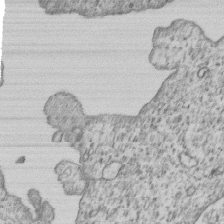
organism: Human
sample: MDA-MB-231 cells